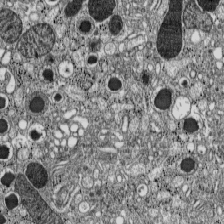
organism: C57BL Mouse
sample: Pancreatic islet